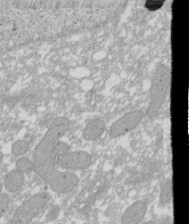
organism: Xenopus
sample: Cilia; centrioles in frog embryo cells